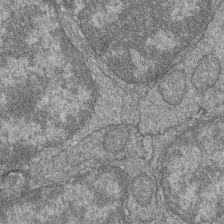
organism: Zebrafish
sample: Cilia; retinal pigment epithelium